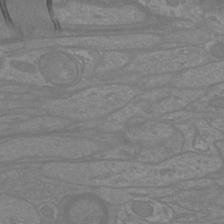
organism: Mouse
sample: Cortical neurons